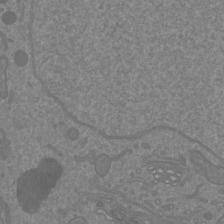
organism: Mouse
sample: Cortical neurons